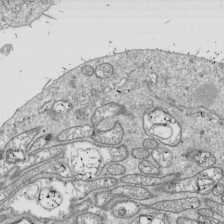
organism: Drosophila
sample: Cell division; meiosis; drosophila spermatocytes